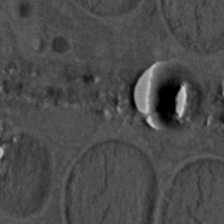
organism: C. elegans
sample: C. elegans embryo